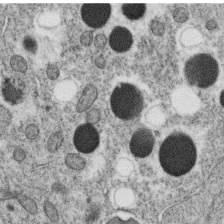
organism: C. elegans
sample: C. elegans oocyte; sperm cells